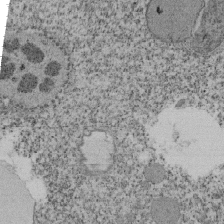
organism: Tetrahymena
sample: Cilia in tetrahymena